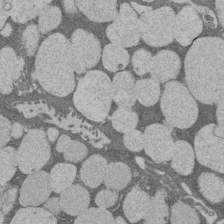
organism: Rat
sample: Salivary granule